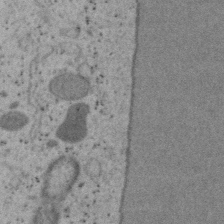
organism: Human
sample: HeLa cells